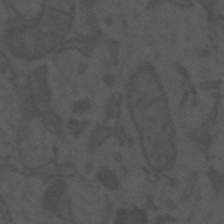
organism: Mouse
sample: Suprachiasmatic nucleus